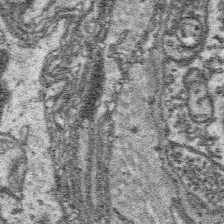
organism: Platynereis dumerilii